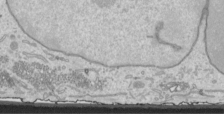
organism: Human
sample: Mitochondria in HCT116 cells